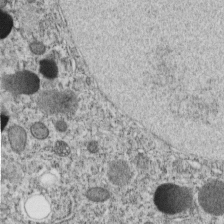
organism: C. elegans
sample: C. elegans embryo early stage